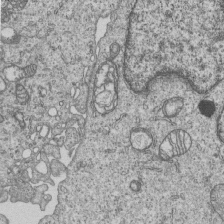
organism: Human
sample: MDA-MB-231 cells